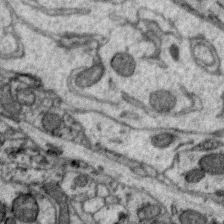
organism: Zebra finch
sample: Brain